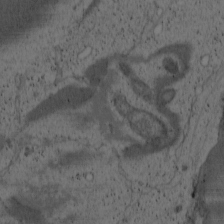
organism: African green monkey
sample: COS-7 cells